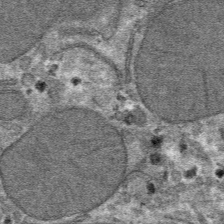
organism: Mouse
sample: Mouse hepatocytes